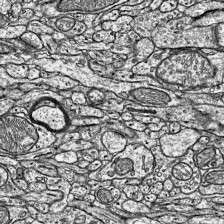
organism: Mouse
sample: Visual Cortex